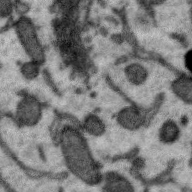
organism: Zebra finch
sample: Brain